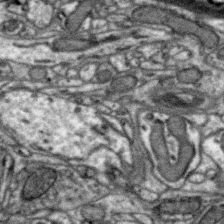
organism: Zebra finch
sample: Brain